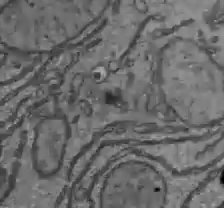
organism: C57BL Mouse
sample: Liver